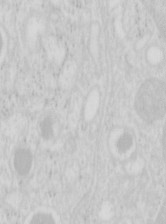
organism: Mouse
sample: Pancreas